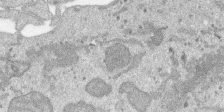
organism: Human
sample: Lung epithelial cells infected with SARS-CoV-2